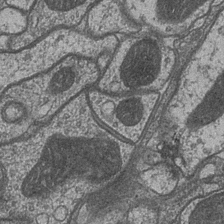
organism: Drosophila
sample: Optic medulla